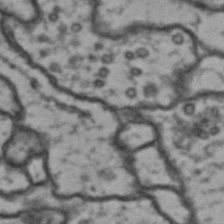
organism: Drosophila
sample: Brain